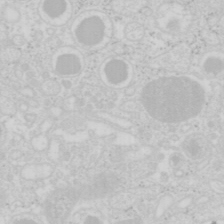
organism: Mouse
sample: Pancreas